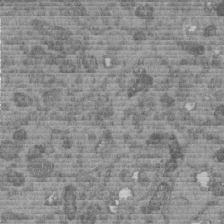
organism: C. elegans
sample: C. elegans embryo early stage